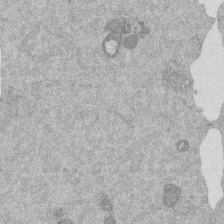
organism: Mouse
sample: Dividing mouse embryo 1 cell stage